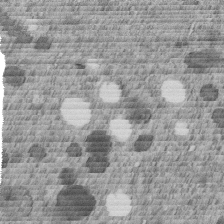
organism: C. elegans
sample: C. elegans embryo early stage